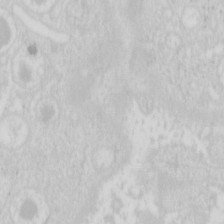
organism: Mouse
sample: Pancreas